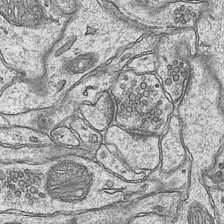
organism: Mouse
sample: CA1 Hippocampus